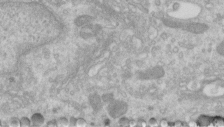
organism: Human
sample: Centriole in RPE cells